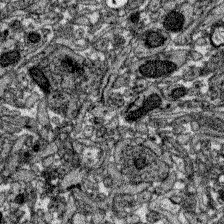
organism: Zebrafish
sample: Larval olfactory bulb